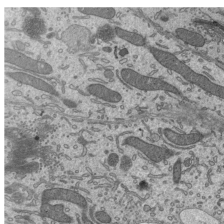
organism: Mouse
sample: Mouse epididymis efferent ductule cilia